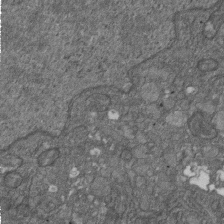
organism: Drosophila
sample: Nephrocyte